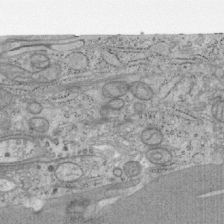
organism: Human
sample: HeLa cells